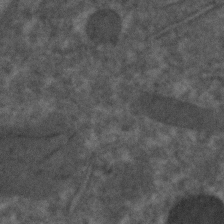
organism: C. elegans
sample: C. elegans embryo